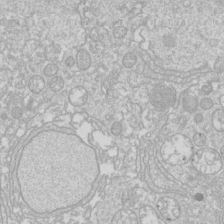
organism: Drosophila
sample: Cell division; meiosis; drosophila spermatocytes